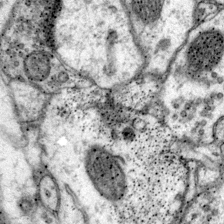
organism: Mouse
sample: Primary visual cortex